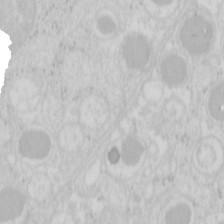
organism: Mouse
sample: Pancreas